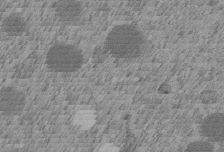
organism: C. elegans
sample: C. elegans embryo early stage